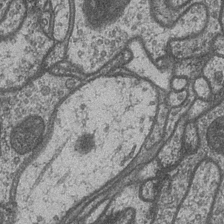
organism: Drosophila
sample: Optic medulla